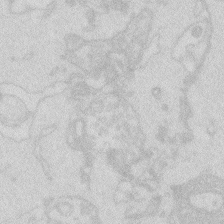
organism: Zebrafish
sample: Macrophage